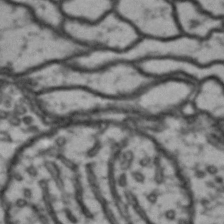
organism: Drosophila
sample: Brain